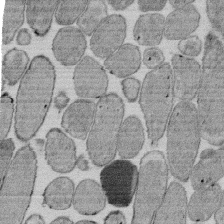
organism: E. coli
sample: Bacterial nucleoid